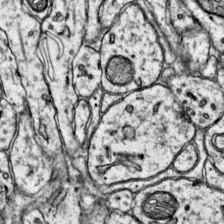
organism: Mouse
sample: Primary visual cortex